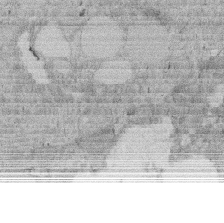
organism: Rat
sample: Salivary granule